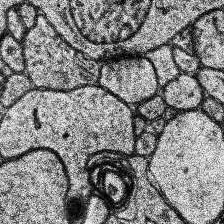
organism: Human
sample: Temporal Lobe